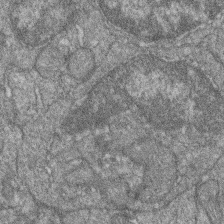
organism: Zebrafish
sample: Cilia; retinal pigment epithelium